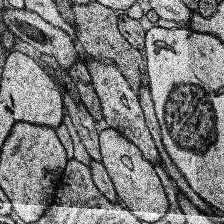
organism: Human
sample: Temporal Lobe